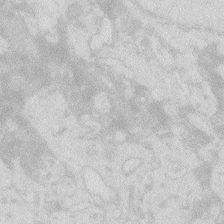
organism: Zebrafish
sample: Macrophage